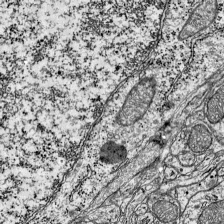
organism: Mouse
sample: Visual Cortex